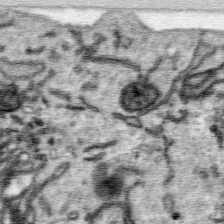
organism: Human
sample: HeLa cells